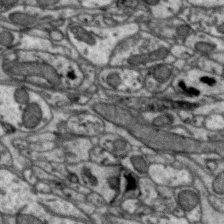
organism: Zebra finch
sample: Brain